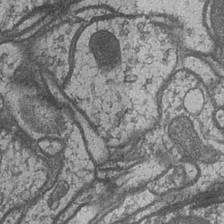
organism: Drosophila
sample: Optic medulla